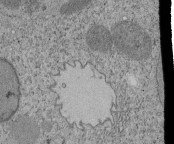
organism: Tetrahymena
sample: Cilia in tetrahymena